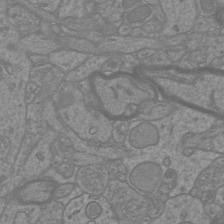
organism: Mouse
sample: Cortical neurons